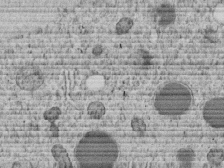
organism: C. elegans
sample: C. elegans embryo early stage